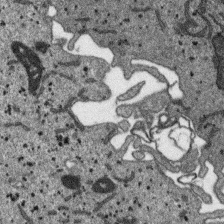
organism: Human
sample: Lung epithelial cells infected with SARS-CoV-2